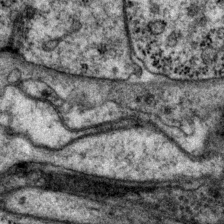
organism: P. pacificus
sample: Pharynx